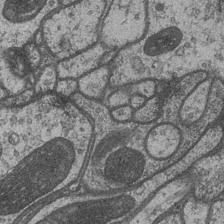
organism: Drosophila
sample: Optic medulla